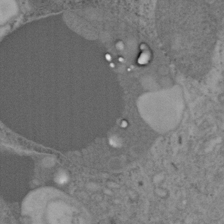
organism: Mouse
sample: OT-I killer T cells with ID8 ovarian cancer cells